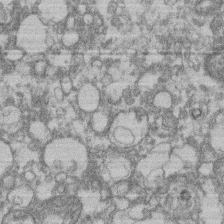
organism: Mouse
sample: T cell stromal cell synapse